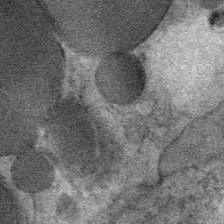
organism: Mouse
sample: Mouse Salivary gland